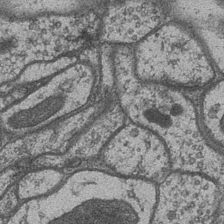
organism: Drosophila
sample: Optic medulla